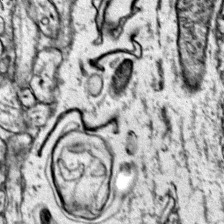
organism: Mouse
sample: Primary visual cortex